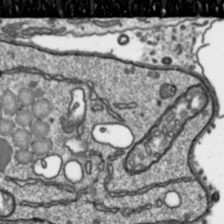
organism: Toxoplasma gondii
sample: Parasites in a vacuole inside a host cell